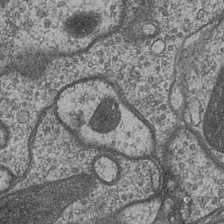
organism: Drosophila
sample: Optic medulla